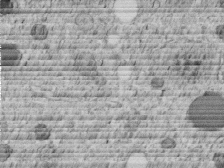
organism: C. elegans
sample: C. elegans embryo early stage